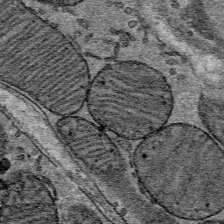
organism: Mouse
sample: Mouse Salivary gland